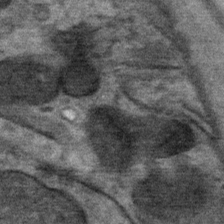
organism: Mouse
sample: Mouse Salivary gland